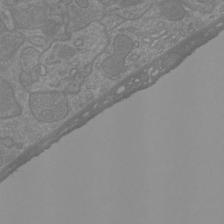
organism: Mouse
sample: Cortical neurons